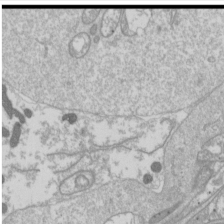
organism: Drosophila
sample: Cell division; meiosis; drosophila spermatocytes